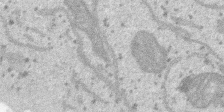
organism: Human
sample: Lung epithelial cells infected with SARS-CoV-2